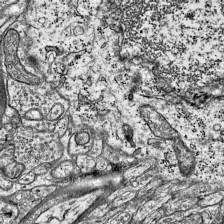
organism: Mouse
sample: Visual Cortex